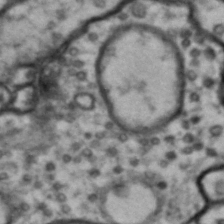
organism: Drosophila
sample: Brain